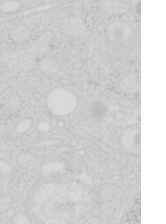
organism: Mouse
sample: Pancreas